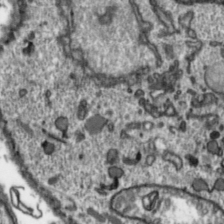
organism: Toxoplasma gondii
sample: Parasites in a vacuole inside a host cell